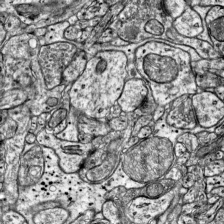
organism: Mouse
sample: Visual Cortex